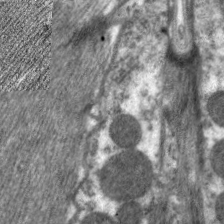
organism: C. elegans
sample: Pharynx